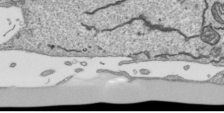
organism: Human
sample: Mitochondria in HCT116 cells